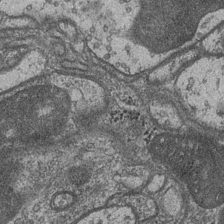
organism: Drosophila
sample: Optic medulla